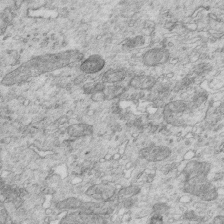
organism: Mouse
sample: Multiciliated cells